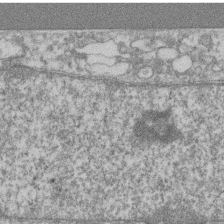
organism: Mouse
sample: T cell stromal cell synapse